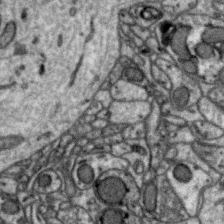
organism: Zebra finch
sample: Brain